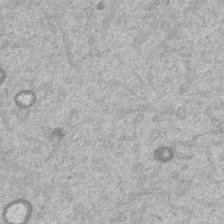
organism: Mouse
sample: Dividing mouse embryo 1 cell stage